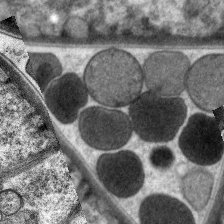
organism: C. elegans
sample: Pharynx